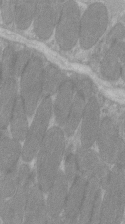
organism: C57BL Mouse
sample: Tibialis anterior muscle cell